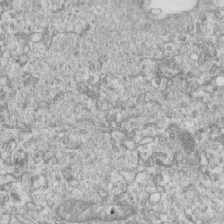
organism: Mouse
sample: Activated OT-1 CD8+ T cells